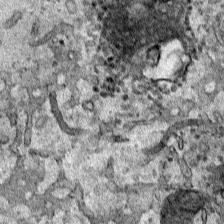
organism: Human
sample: Mitochondria in HCT116 cells